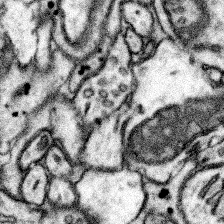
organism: Mouse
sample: Somatosensory cortex neuropil